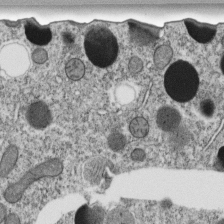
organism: C. elegans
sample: C. elegans embryo early stage